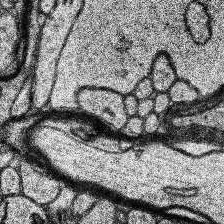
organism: Human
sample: Temporal Lobe